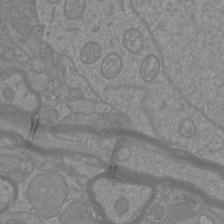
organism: Mouse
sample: Cortical neurons